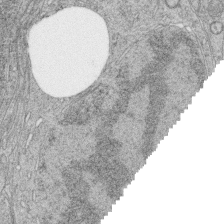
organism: Zebrafish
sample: synaptic ribbons in rod cells and cone cells